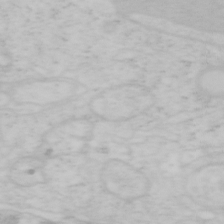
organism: Mouse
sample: OT-I killer T cells with ID8 ovarian cancer cells